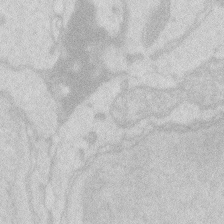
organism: Zebrafish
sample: Macrophage